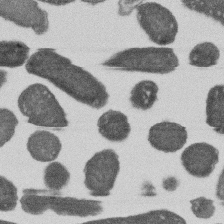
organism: E. coli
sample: Bacterial nucleoid